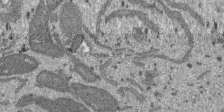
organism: Human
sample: Lung epithelial cells infected with SARS-CoV-2